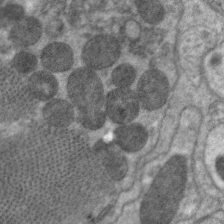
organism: C. elegans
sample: Pharynx